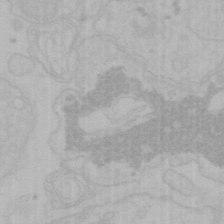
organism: Mouse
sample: Choroid plexus